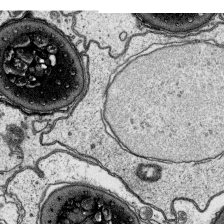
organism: Platynereis dumerilii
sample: Parapodia